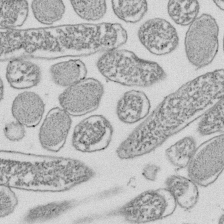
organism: E. coli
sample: Bacterial nucleoid